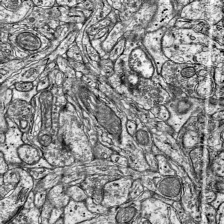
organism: Mouse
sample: Visual Cortex